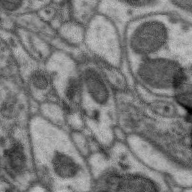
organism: Zebra finch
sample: Brain